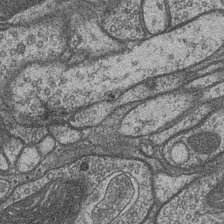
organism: Drosophila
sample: Optic medulla